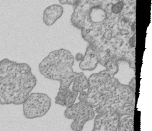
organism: Human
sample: MDA-MB-231 cells